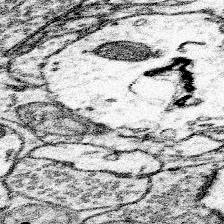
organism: Mouse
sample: Somatosensory cortex neuropil